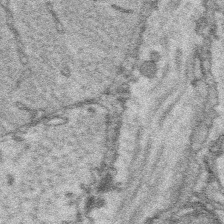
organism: Platynereis dumerilii